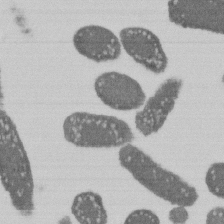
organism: E. coli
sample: Bacterial nucleoid